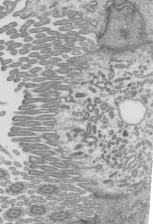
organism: Mouse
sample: Mouse epididymis efferent ductule cilia